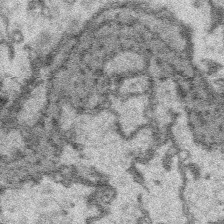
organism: Platynereis dumerilii